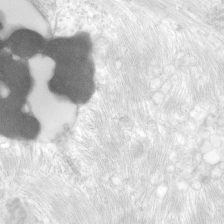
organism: Human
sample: Neocortex